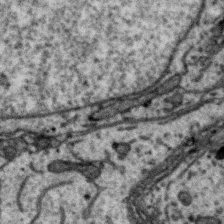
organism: Zebra finch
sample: Brain